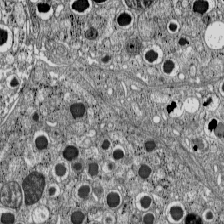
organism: C57BL Mouse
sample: Pancreatic islet